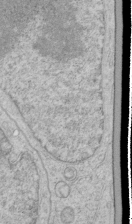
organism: Human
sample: Mitochondria in HCT116 cells